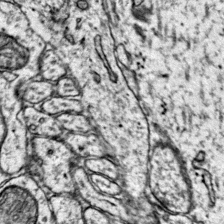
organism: Mouse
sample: Primary visual cortex